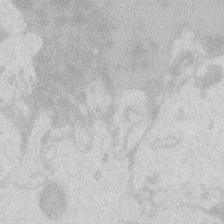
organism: Zebrafish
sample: Macrophage